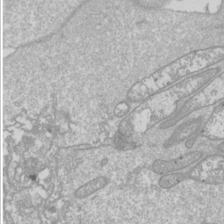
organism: Drosophila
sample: Cell division; meiosis; drosophila spermatocytes